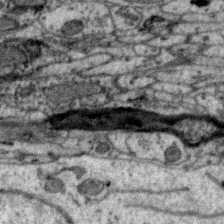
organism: Zebra finch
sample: Brain